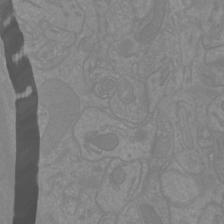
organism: Mouse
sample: Cortical neurons